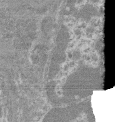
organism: Mouse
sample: Glomerulus